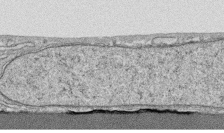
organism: Human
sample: CRL-1474